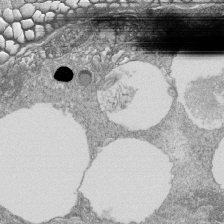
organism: Tetrahymena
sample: Cilia in tetrahymena